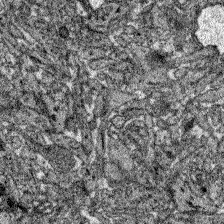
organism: Zebrafish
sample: Larval olfactory bulb